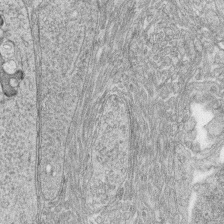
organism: Zebrafish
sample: synaptic ribbons in rod cells and cone cells